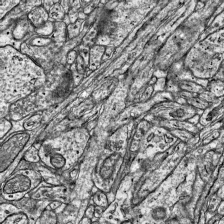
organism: Mouse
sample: Visual Cortex